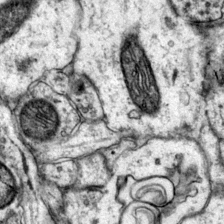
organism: Mouse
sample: Primary visual cortex